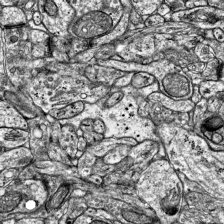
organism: Mouse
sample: Visual Cortex